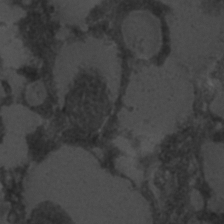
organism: C. elegans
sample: C. elegans embryo